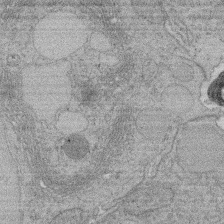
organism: Rat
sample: Salivary granule